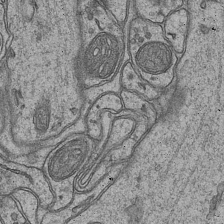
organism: Mouse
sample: CA1 Hippocampus